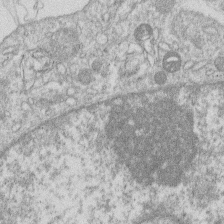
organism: Human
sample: Macrophage cells